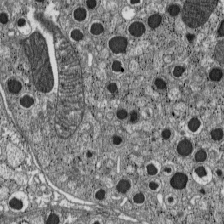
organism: C57BL Mouse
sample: Pancreatic islet